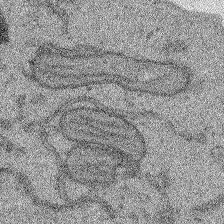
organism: Human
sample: HeLa cells